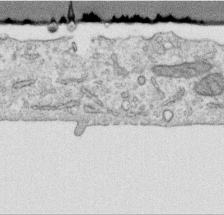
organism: Human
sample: Centriole in RPE cells